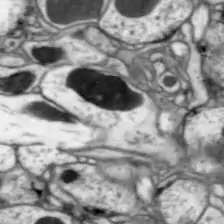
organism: Drosophila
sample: Optic lobe